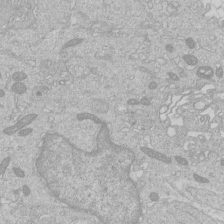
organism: Human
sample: Macrophage cells